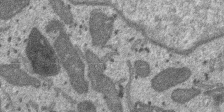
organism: Human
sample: Lung epithelial cells infected with SARS-CoV-2